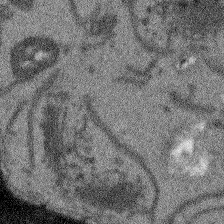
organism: Arabidopsis thaliana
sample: Root tip